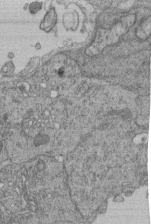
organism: Human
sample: Retinal organoid Rod and Cone cells